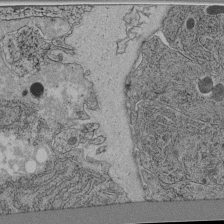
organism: C. elegans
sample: C. elegans pharynx